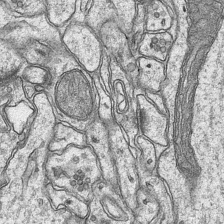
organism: Mouse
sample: CA1 Hippocampus